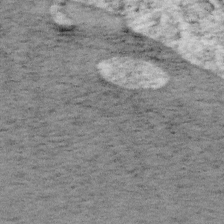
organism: Mouse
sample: OT-I killer T cells with ID8 ovarian cancer cells